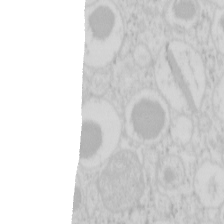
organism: Mouse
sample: Pancreas